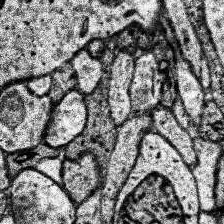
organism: Human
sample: Temporal Lobe